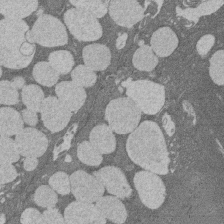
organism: Rat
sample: Salivary granule